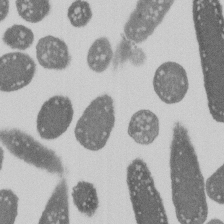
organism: E. coli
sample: Bacterial nucleoid